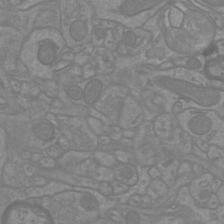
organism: Mouse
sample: Cortical neurons